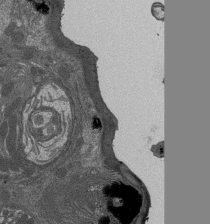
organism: Drosophila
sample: Antenna